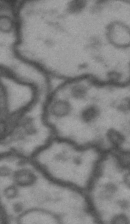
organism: Drosophila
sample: Brain